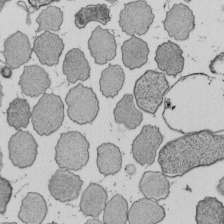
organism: E. coli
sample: Bacterial nucleoid